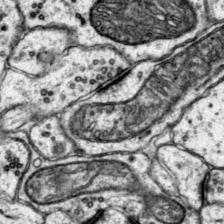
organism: Mouse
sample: Primary visual cortex